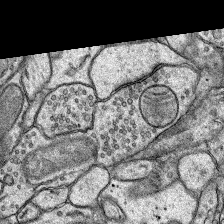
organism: Rat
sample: Hippocampus